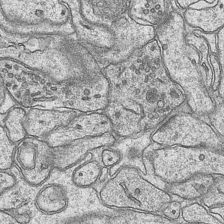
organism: Mouse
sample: CA1 Hippocampus